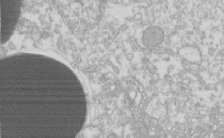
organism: Xenopus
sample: Cilia; centrioles in frog embryo cells